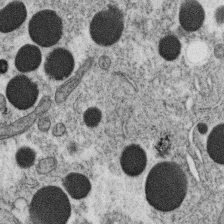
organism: C. elegans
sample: C. elegans oocyte; sperm cells